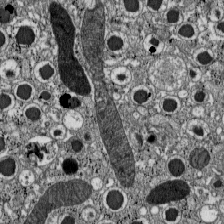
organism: C57BL Mouse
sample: Pancreatic islet